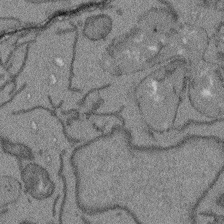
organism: Arabidopsis thaliana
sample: Root tip